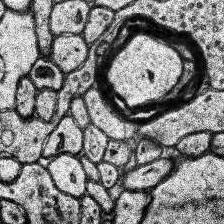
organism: Human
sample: Temporal Lobe